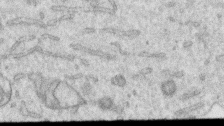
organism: Human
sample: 1205lu cells